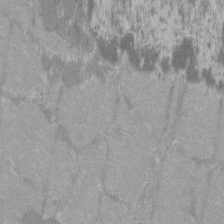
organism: C57BL Mouse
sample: Tibialis anterior muscle cell